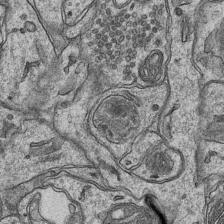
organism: Mouse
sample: CA1 Hippocampus